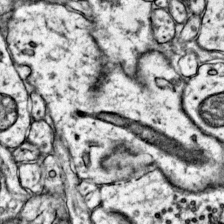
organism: Mouse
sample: Primary visual cortex